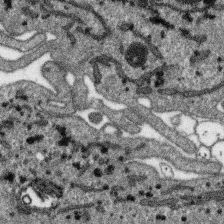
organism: Human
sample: Lung epithelial cells infected with SARS-CoV-2